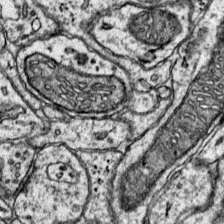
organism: Mouse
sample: Primary visual cortex